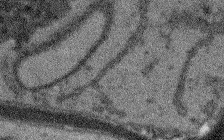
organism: Arabidopsis thaliana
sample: Root tip